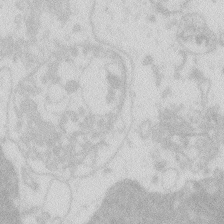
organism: Zebrafish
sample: Macrophage